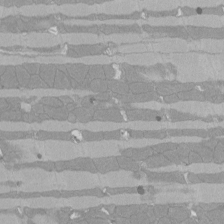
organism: Rat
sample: Left ventricle